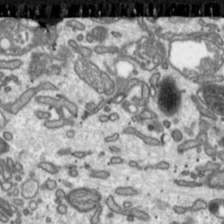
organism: Toxoplasma gondii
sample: Parasites in a vacuole inside a host cell